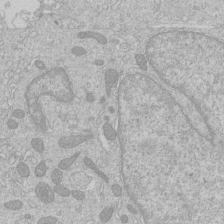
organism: Human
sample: Macrophage cells